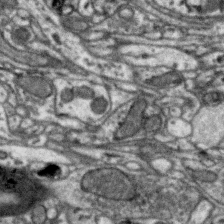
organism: Zebra finch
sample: Brain